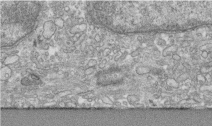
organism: Human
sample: Centriole in RPE cells